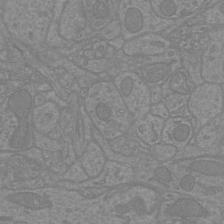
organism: Mouse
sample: Cortical neurons